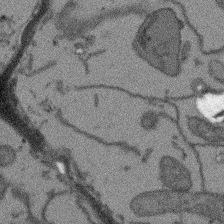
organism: Arabidopsis thaliana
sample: Root tip